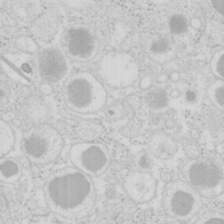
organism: Mouse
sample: Pancreas